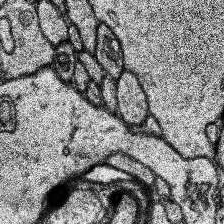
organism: Human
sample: Temporal Lobe